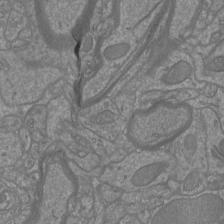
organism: Mouse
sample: Cortical neurons